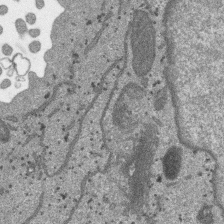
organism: Human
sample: Lung epithelial cells infected with SARS-CoV-2